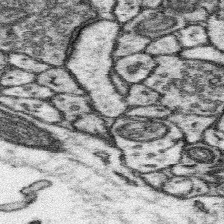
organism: Mouse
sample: Somatosensory cortex neuropil